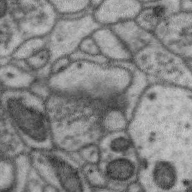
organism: Zebra finch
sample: Brain